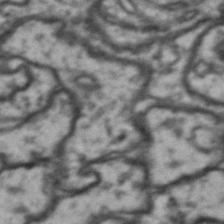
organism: Drosophila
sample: Brain